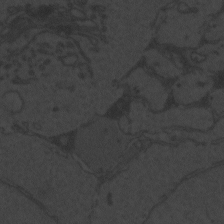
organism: Zebrafish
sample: Macrophage infected with Toxoplasma gondii